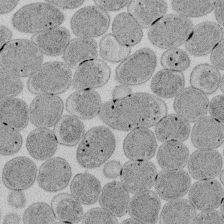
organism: E. coli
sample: Bacterial nucleoid